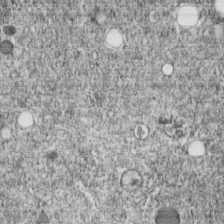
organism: C. elegans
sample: C. elegans embryo early stage